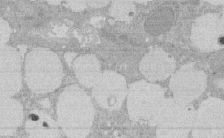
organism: Rat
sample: Salivary granule